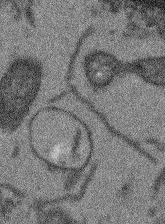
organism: Arabidopsis thaliana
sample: Root tip